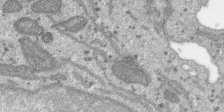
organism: Human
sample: Lung epithelial cells infected with SARS-CoV-2